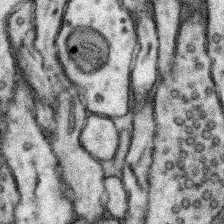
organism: Mouse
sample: Somatosensory cortex neuropil